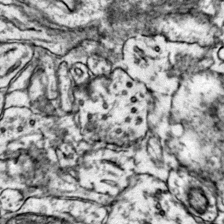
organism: Mouse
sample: Primary visual cortex